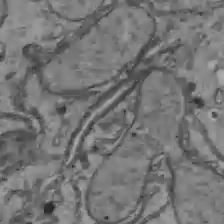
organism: C57BL Mouse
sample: Liver